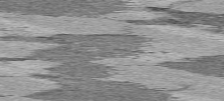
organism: C57BL Mouse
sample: Heart